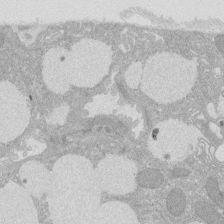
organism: Rat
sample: Salivary granule